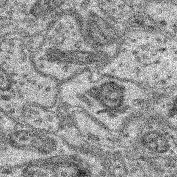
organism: Mouse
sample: Retina